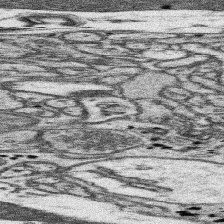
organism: Mouse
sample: Somatosensory cortex neuropil